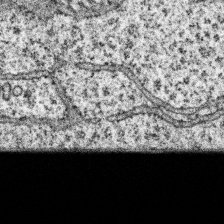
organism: Human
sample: HeLa cells